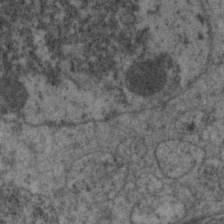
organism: C. elegans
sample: Pharynx